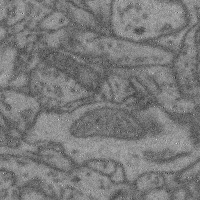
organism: Mouse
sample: Cerebral cortex